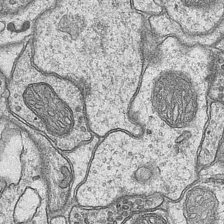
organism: Mouse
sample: CA1 Hippocampus